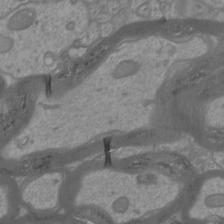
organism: Mouse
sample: Cortical neurons